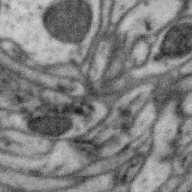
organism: Zebra finch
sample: Brain